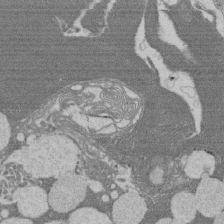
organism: Rat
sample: Salivary granule